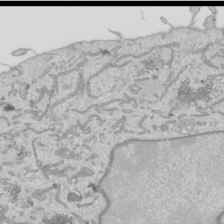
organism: Human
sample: Mitochondria in HCT116 cells